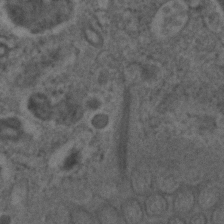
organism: C. elegans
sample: C. elegans embryo